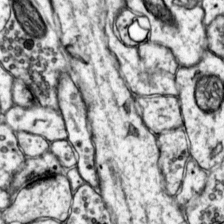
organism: Mouse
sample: Primary visual cortex